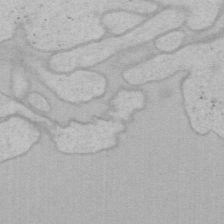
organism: Human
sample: HeLa cells